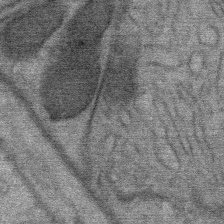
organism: Mouse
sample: Mouse Salivary gland